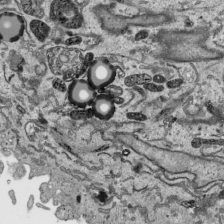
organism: Human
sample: Mitochondria in HCT116 cells